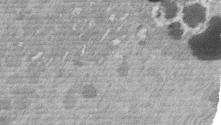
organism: Mouse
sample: Dividing mouse embryo 1 cell stage